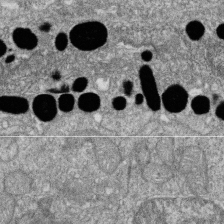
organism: Zebrafish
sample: Cilia; retinal pigment epithelium